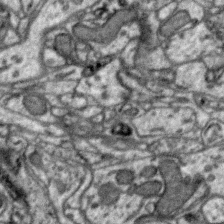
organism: Zebra finch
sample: Brain